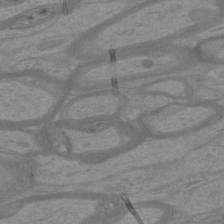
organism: Mouse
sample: Cortical neurons